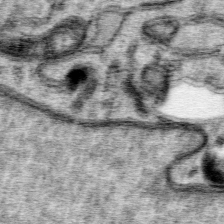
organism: Human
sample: HeLa cells